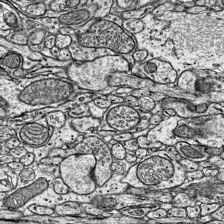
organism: Mouse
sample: Visual Cortex